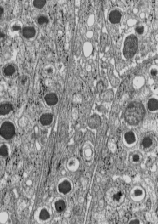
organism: C57BL Mouse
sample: Pancreatic islet